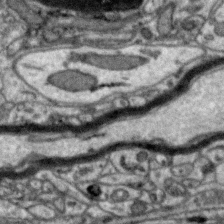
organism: Zebra finch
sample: Brain